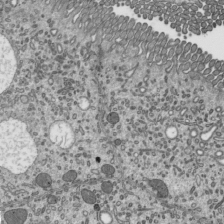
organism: Mouse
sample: Mouse epididymis efferent ductule cilia